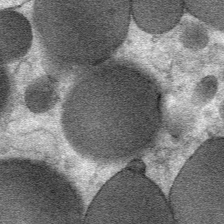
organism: Mouse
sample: Mouse Salivary gland